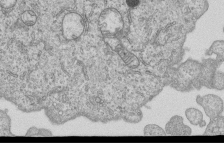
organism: Human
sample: MDA-MB-231 cells